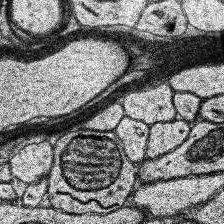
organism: Human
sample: Temporal Lobe